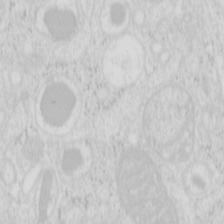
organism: Mouse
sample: Pancreas